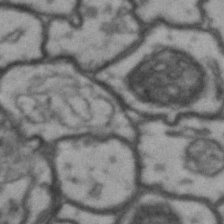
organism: Drosophila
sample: Brain